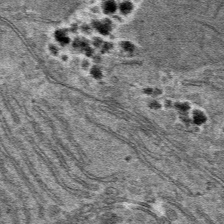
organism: Mouse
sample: Mouse hepatocytes